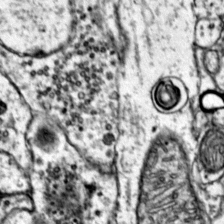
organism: Mouse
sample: Primary visual cortex